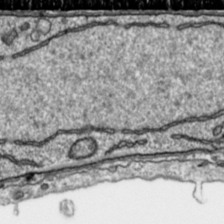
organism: Toxoplasma gondii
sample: Parasites in a vacuole inside a host cell